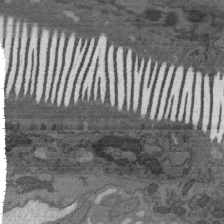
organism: C. elegans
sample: AFD neurons C. elegans